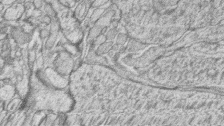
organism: Zebrafish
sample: synaptic ribbons in rod cells and cone cells